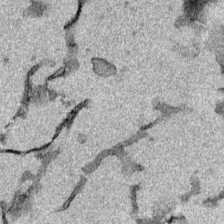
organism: Mouse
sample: Cancer cell death in ED-1 cells